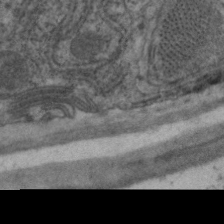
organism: C. elegans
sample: Pharynx